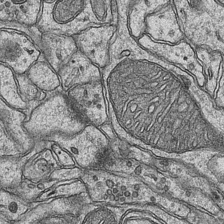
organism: Mouse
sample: CA1 Hippocampus